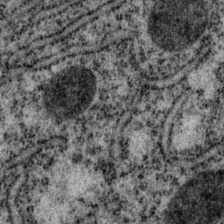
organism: P. pacificus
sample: Pharynx